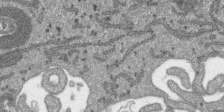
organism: Human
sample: Lung epithelial cells infected with SARS-CoV-2